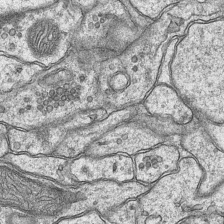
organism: Mouse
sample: CA1 Hippocampus